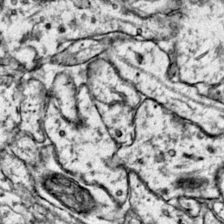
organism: Mouse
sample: Primary visual cortex